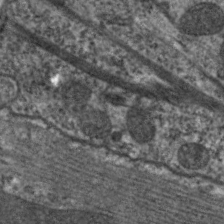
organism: C. elegans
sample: Pharynx